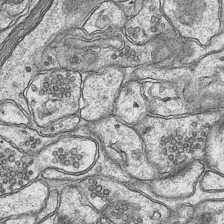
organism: Mouse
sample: CA1 Hippocampus